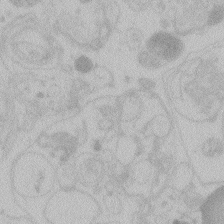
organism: Zebrafish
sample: Macrophage infected with Toxoplasma gondii